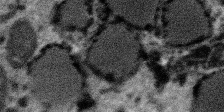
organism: Human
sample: Lung epithelial cells infected with SARS-CoV-2